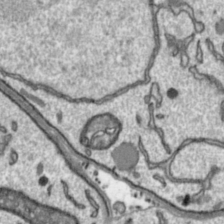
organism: Toxoplasma gondii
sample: Parasites in a vacuole inside a host cell